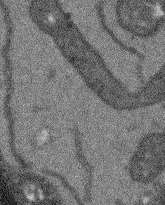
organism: Arabidopsis thaliana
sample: Root tip